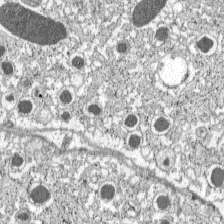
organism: C57BL Mouse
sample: Pancreatic islet